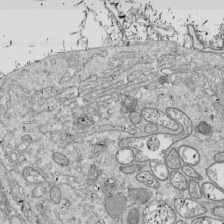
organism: Drosophila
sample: Cell division; meiosis; drosophila spermatocytes